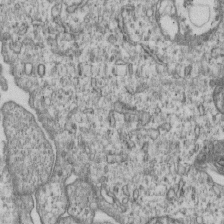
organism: Human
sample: MDA-MB-231 cells